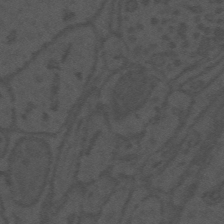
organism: Mouse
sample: Suprachiasmatic nucleus